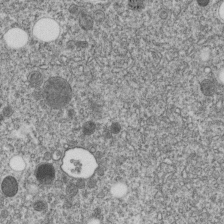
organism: C. elegans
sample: C. elegans embryo early stage